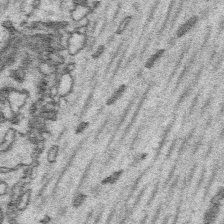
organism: Platynereis dumerilii